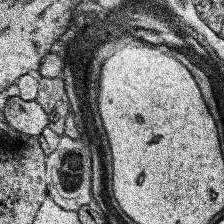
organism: Human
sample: Temporal Lobe